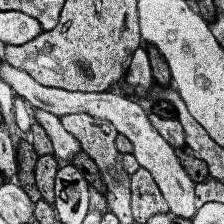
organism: Human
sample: Temporal Lobe